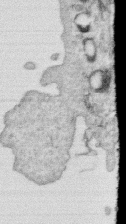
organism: Human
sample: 1205lu cells